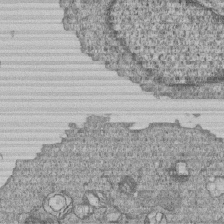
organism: Human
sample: MDA-MB-231 cells